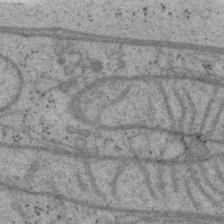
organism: Human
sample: HeLa cells